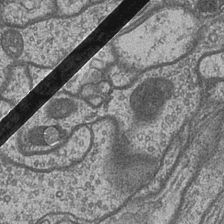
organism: Drosophila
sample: Optic medulla